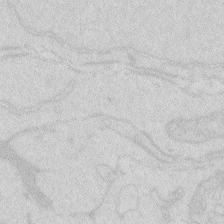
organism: Zebrafish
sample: Macrophage